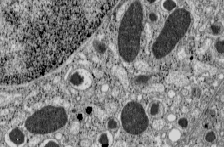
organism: C57BL Mouse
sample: Pancreatic islet